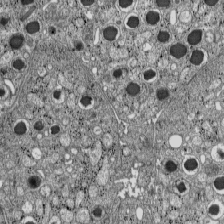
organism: C57BL Mouse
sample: Pancreatic islet